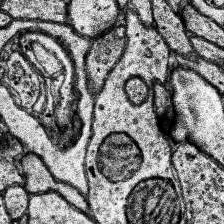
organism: Human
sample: Temporal Lobe